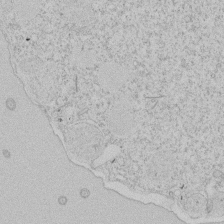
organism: Tetrahymena